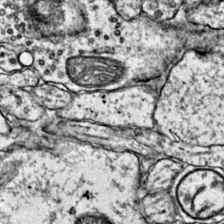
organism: Mouse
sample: Primary visual cortex